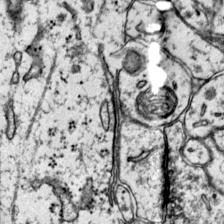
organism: Mouse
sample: Primary visual cortex